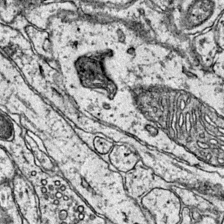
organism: Mouse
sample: Primary visual cortex